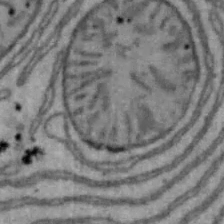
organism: Mouse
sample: Liver